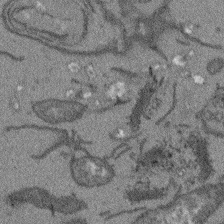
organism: Arabidopsis thaliana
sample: Root tip